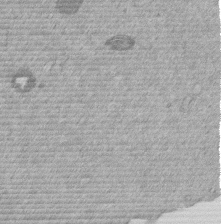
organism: Mouse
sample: Dividing mouse embryo 1 cell stage